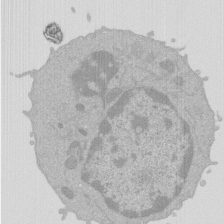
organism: Mouse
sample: Activated Pmel transgenic CD8+ T Cells